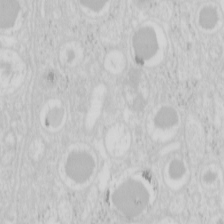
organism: Mouse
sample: Pancreas